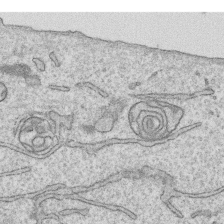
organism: Human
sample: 1205lu cells